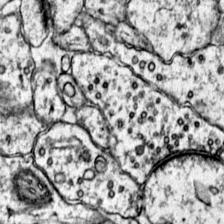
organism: Mouse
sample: Primary visual cortex